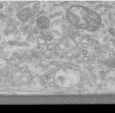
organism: Human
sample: Centriole in RPE cells